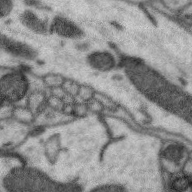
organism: Zebra finch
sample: Brain